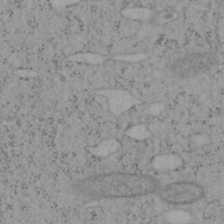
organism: Mouse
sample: OT-I killer T cells with ID8 ovarian cancer cells